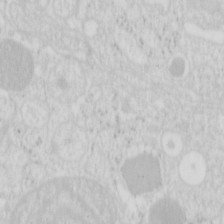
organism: Mouse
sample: Pancreas